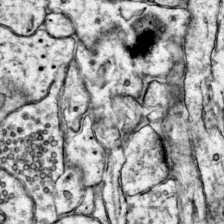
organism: Mouse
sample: Primary visual cortex